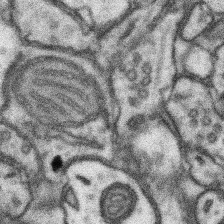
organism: Mouse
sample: Somatosensory cortex neuropil